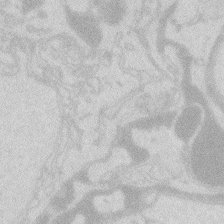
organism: Zebrafish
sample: Macrophage